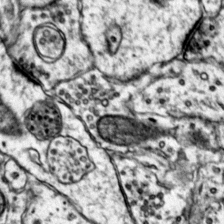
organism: Mouse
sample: Primary visual cortex